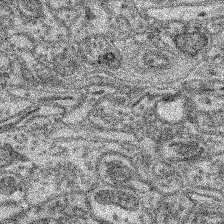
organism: Mouse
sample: Retina